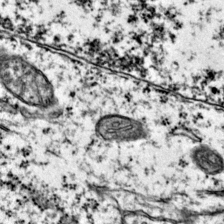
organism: Mouse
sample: Primary visual cortex